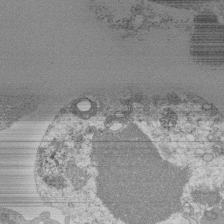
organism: Mouse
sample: Activated Pmel transgenic CD8+ T Cells